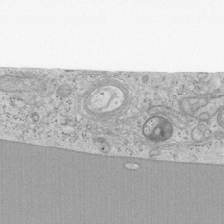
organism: Human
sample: HeLa cells